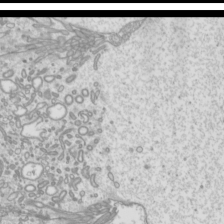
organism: Mouse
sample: Cilia; mouse epididymis